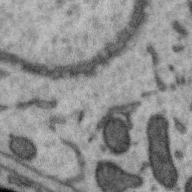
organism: Zebra finch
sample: Brain